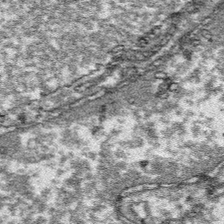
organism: Platynereis dumerilii